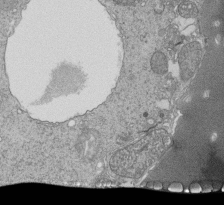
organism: Tetrahymena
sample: Cilia in tetrahymena